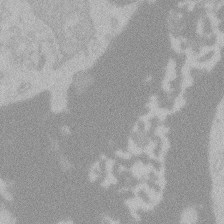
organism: Zebrafish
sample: Macrophage infected with Toxoplasma gondii